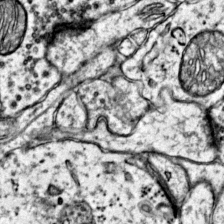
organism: Mouse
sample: Primary visual cortex